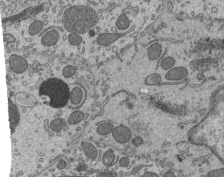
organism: Mouse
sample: Mouse epididymis efferent ductule cilia